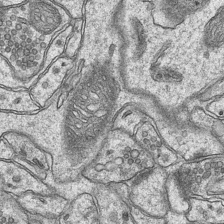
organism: Mouse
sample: CA1 Hippocampus